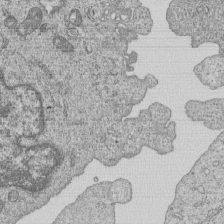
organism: Human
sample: MDA-MB-231 cells